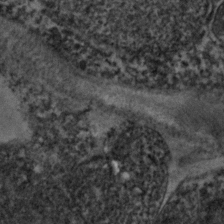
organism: Zebrafish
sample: Zebrafish embryo